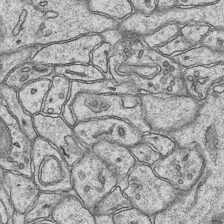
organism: Mouse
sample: CA1 Hippocampus